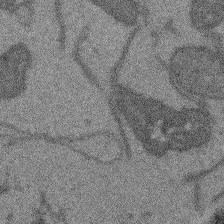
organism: Arabidopsis thaliana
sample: Root tip